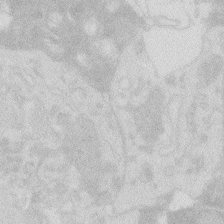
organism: Zebrafish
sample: Macrophage